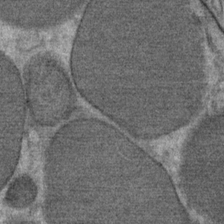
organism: Mouse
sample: Mouse Salivary gland